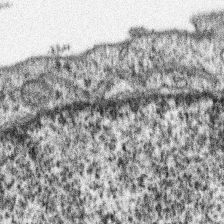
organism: Human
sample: HeLa cells